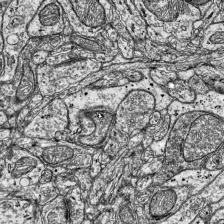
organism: Mouse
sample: Visual Cortex